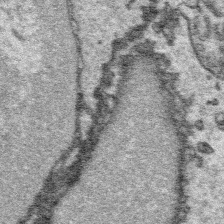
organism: Platynereis dumerilii